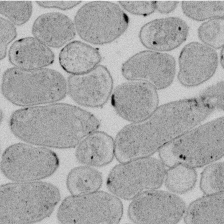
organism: E. coli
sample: Bacterial nucleoid